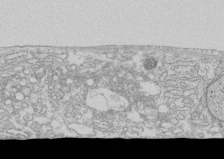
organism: Human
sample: CRL-1474